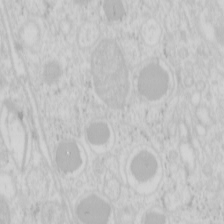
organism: Mouse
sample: Pancreas